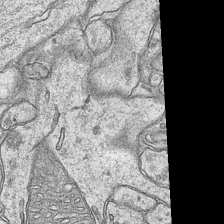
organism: Mouse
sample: CA1 Hippocampus